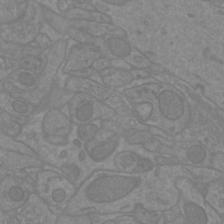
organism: Mouse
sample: Cortical neurons